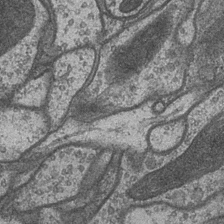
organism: Drosophila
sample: Optic medulla